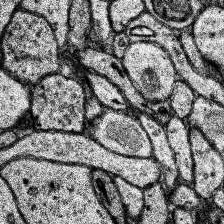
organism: Human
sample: Temporal Lobe